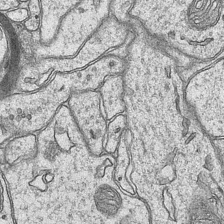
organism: Mouse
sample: CA1 Hippocampus